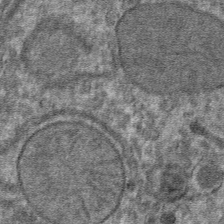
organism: Mouse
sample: Mouse hepatocytes